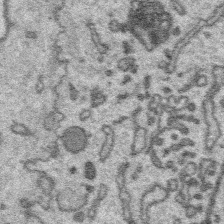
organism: Platynereis dumerilii